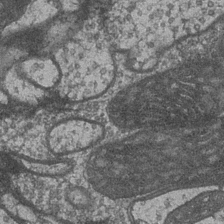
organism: Drosophila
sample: Optic medulla